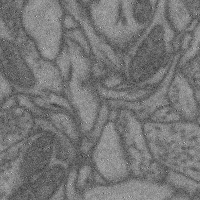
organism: Mouse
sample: Cerebral cortex